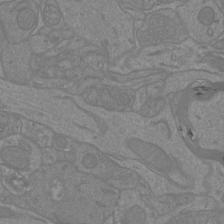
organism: Mouse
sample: Cortical neurons